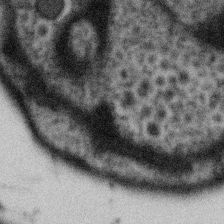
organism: Gemmata obscuriglobus